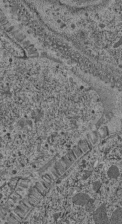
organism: C. elegans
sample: C. elegans pharynx